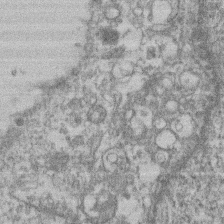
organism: Mouse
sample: T cell stromal cell synapse